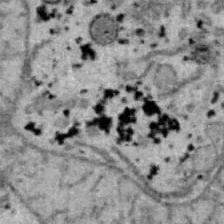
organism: Mouse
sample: Liver from an obese (ob/ob) mouse